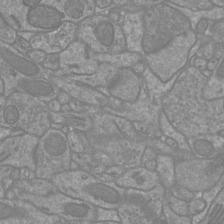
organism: Mouse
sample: Cortical neurons